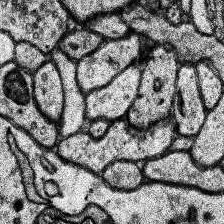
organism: Human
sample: Temporal Lobe